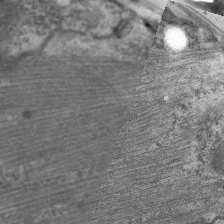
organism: C. elegans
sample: Pharynx